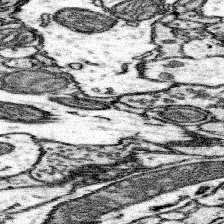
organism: Mouse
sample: Somatosensory cortex neuropil